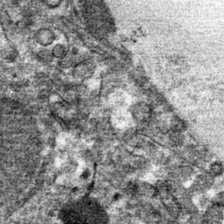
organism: Mouse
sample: Mouse hepatocytes